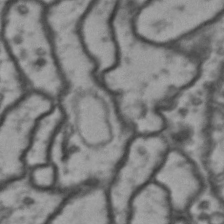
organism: Drosophila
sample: Brain